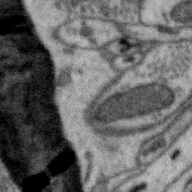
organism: Zebra finch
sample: Brain